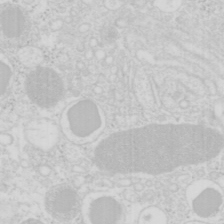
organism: Mouse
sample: Pancreas